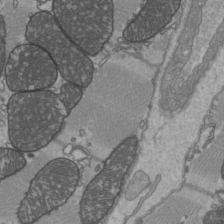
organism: C57BL Mouse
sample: Heart